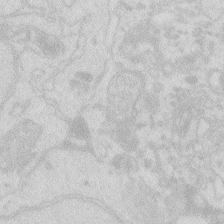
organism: Zebrafish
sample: Macrophage